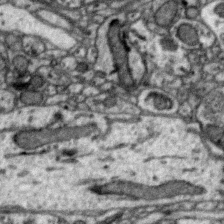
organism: Zebra finch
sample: Brain